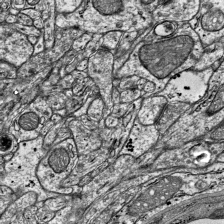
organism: Mouse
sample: Visual Cortex